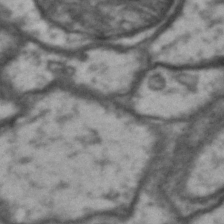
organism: Drosophila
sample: Brain